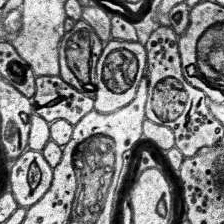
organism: Human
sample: Temporal Lobe